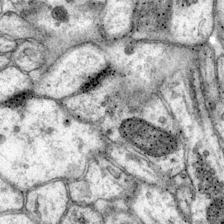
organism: Mouse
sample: Primary visual cortex